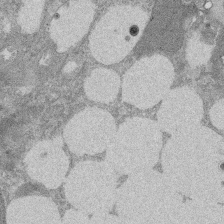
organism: Rat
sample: Salivary granule